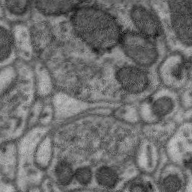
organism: Zebra finch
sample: Brain